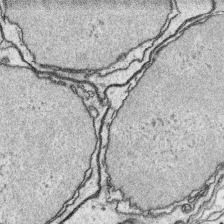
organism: Platynereis dumerilii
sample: Parapodia